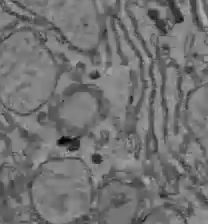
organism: C57BL Mouse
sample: Liver